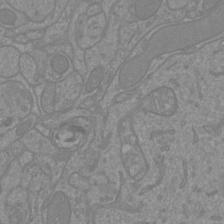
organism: Mouse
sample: Cortical neurons